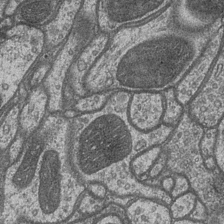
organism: Drosophila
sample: Optic medulla